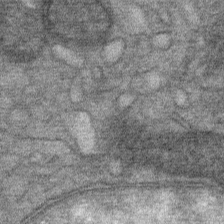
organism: Mouse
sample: Mouse Salivary gland